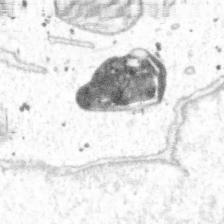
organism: Human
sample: HeLa cells